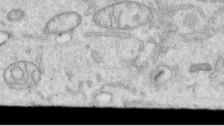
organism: Human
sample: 1205lu cells